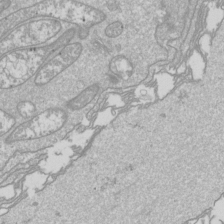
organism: Drosophila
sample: Cell division; meiosis; drosophila spermatocytes